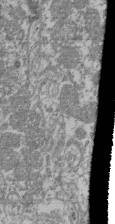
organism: Mouse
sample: Glomerulus